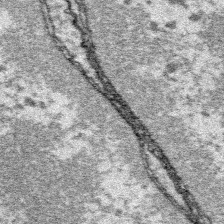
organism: Platynereis dumerilii